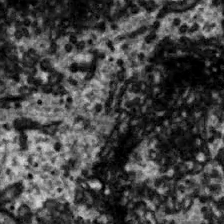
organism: Human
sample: HeLa cells